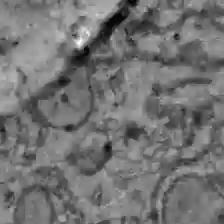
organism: C57BL Mouse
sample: Liver